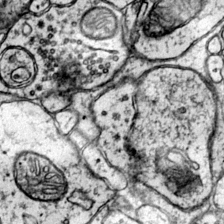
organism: Mouse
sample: Primary visual cortex